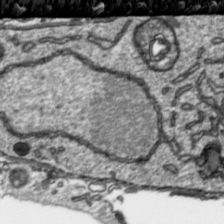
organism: Toxoplasma gondii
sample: Parasites in a vacuole inside a host cell